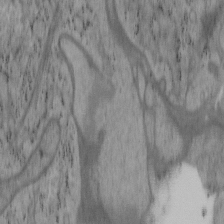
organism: Human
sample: HeLa cells